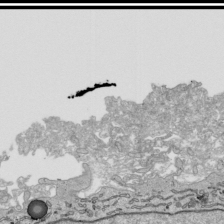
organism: Human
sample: Mitochondria in HCT116 cells